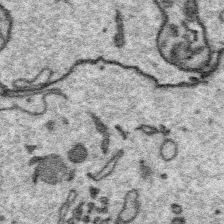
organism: Platynereis dumerilii